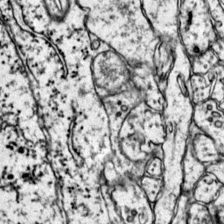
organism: Mouse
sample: Primary visual cortex